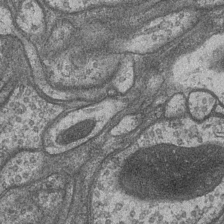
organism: Drosophila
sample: Optic medulla